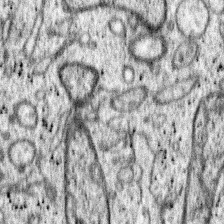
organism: Human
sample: HeLa cells